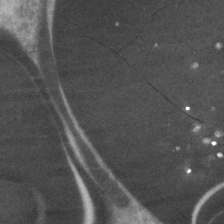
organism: Zebrafish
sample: Zebrafish embryo